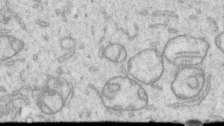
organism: Human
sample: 1205lu cells